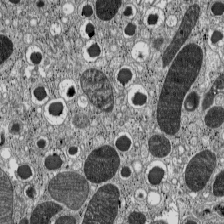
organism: C57BL Mouse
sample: Pancreatic islet